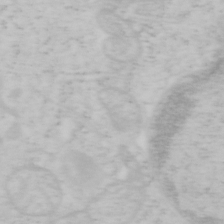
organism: Mouse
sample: OT-I killer T cells with ID8 ovarian cancer cells